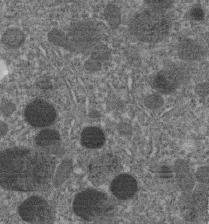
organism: C. elegans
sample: C. elegans embryo early stage